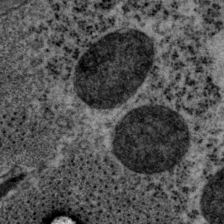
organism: P. pacificus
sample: Pharynx